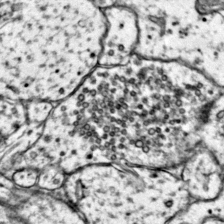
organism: Mouse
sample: Primary visual cortex